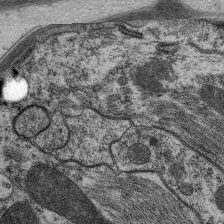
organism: C. elegans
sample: Pharynx